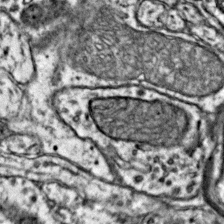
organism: Mouse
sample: Primary visual cortex